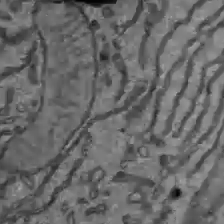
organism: C57BL Mouse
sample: Liver